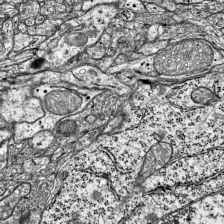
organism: Mouse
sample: Visual Cortex